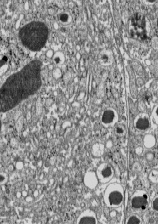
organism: C57BL Mouse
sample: Pancreatic islet